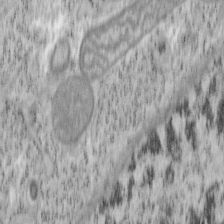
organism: Human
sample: HeLa cells